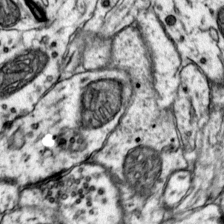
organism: Mouse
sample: Primary visual cortex